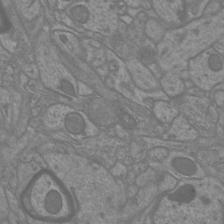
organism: Mouse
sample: Cortical neurons